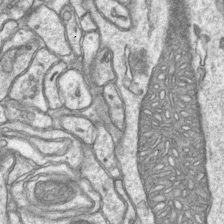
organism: Mouse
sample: CA1 Hippocampus